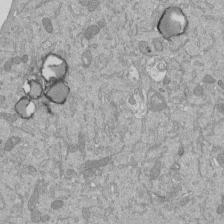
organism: Mouse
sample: ED-1 cell nuclei; centrioles